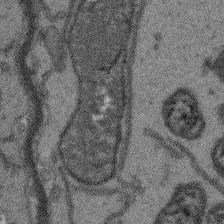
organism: Arabidopsis thaliana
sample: Root tip